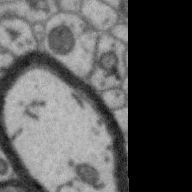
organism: Zebra finch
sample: Brain